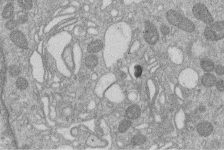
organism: Human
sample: Macrophage cells